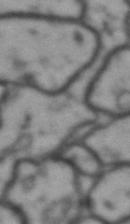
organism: Drosophila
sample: Brain